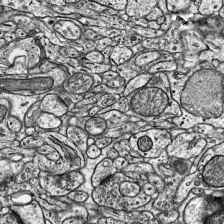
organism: Mouse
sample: Visual Cortex